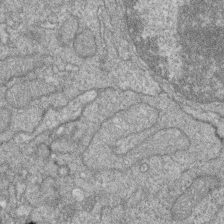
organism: Zebrafish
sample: Cilia; retinal pigment epithelium